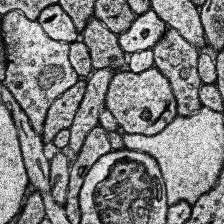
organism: Human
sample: Temporal Lobe